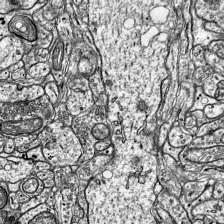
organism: Mouse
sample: Visual Cortex